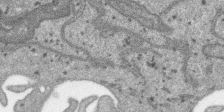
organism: Human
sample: Lung epithelial cells infected with SARS-CoV-2